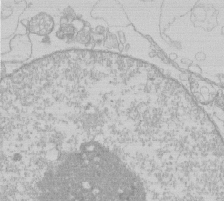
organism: Human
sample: Macrophage cells